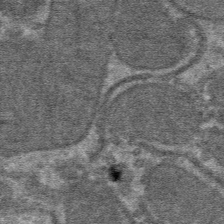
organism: Mouse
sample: Mouse hepatocytes